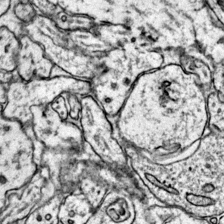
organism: Mouse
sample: Primary visual cortex